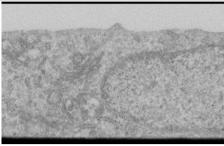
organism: Human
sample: Cilia; basal body in RPE cells